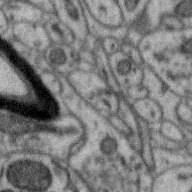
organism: Zebra finch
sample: Brain